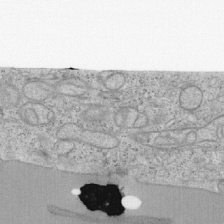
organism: Human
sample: HeLa cells